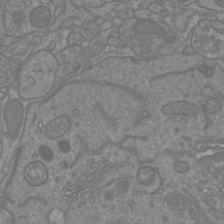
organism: Mouse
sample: Cortical neurons